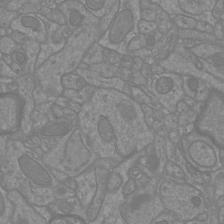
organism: Mouse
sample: Cortical neurons